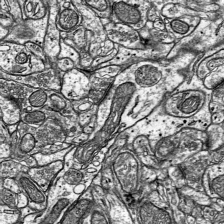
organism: Mouse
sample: Visual Cortex